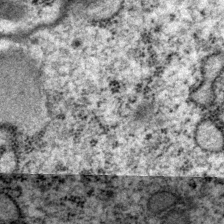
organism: P. pacificus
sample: Pharynx